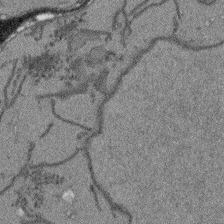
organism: Arabidopsis thaliana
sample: Root tip